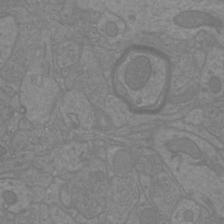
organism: Mouse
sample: Cortical neurons